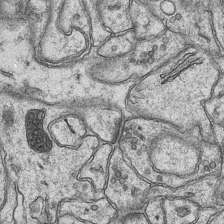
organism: Mouse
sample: CA1 Hippocampus